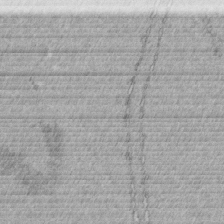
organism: C. elegans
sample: C. elegans embryo early stage